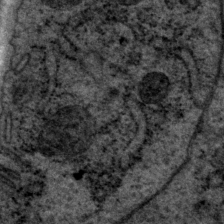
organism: P. pacificus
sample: Pharynx